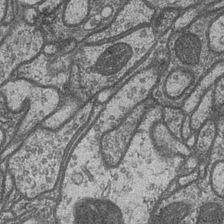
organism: Drosophila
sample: Optic medulla